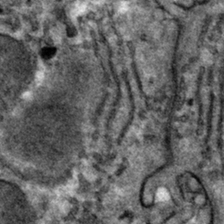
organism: Mouse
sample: Mouse hepatocytes